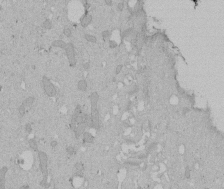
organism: Human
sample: Melanocyte Keratinocyte synapse skin construct